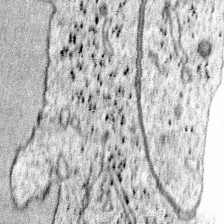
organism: Human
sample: HeLa cells